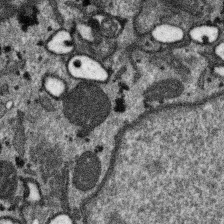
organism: Human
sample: Lung epithelial cells infected with SARS-CoV-2